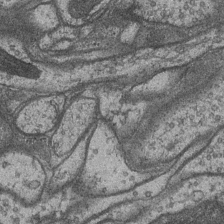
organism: Drosophila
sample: Optic medulla